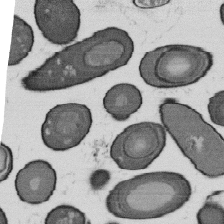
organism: B. subtilis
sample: Bacterial spore